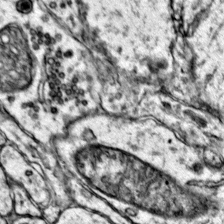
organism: Mouse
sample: Primary visual cortex